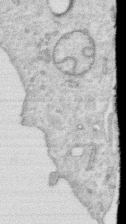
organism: Human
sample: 1205lu cells